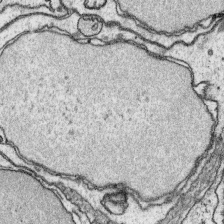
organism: Platynereis dumerilii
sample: Parapodia